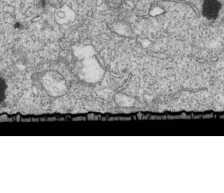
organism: Human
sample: HeLa cell HIV synapse